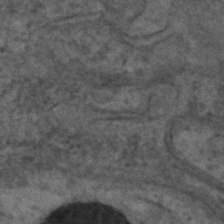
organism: C. elegans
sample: C. elegans embryo